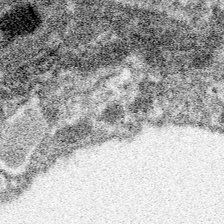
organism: Spongilla lacustris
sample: Neuroid cell